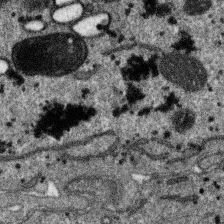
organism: Human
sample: Lung epithelial cells infected with SARS-CoV-2